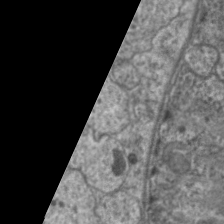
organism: C. elegans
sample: Pharynx